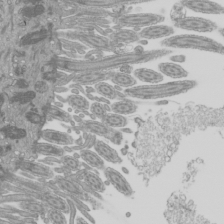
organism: Mouse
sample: Cilia; mouse epididymis